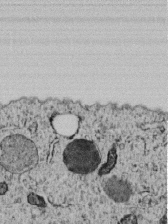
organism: C. elegans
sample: C. elegans embryo early stage